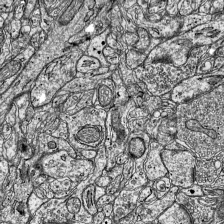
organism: Mouse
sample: Visual Cortex